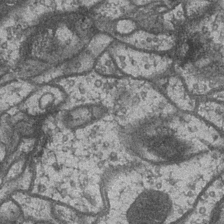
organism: Drosophila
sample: Optic medulla